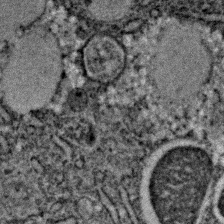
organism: C. elegans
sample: C. elegans embryo